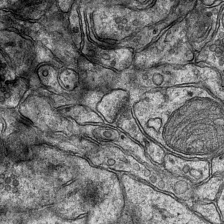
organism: Mouse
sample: CA1 Hippocampus